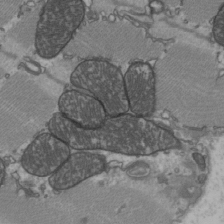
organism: C57BL Mouse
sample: Heart